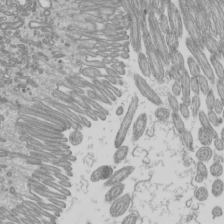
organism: Mouse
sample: Cilia; mouse epididymis